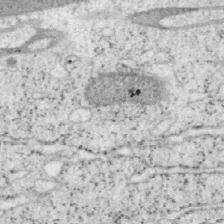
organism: Mouse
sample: OT-I killer T cells with ID8 ovarian cancer cells